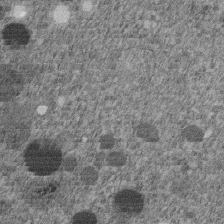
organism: C. elegans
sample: C. elegans embryo early stage